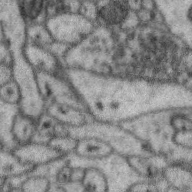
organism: Zebra finch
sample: Brain